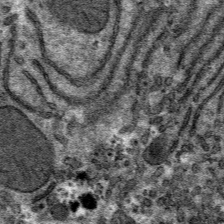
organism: Mouse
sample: Mouse hepatocytes